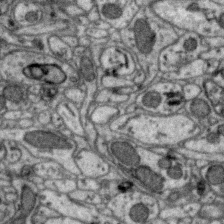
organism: Zebra finch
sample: Brain